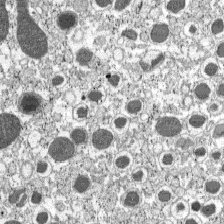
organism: C57BL Mouse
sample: Pancreatic islet